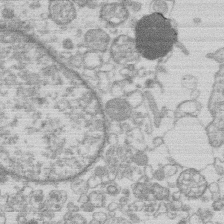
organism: Human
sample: Macrophage cells